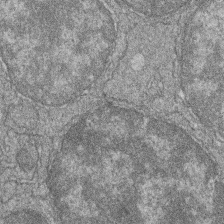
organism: Zebrafish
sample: Cilia; retinal pigment epithelium